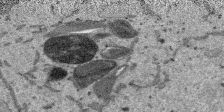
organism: Human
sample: Lung epithelial cells infected with SARS-CoV-2